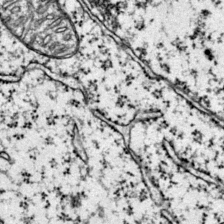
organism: Mouse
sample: Primary visual cortex